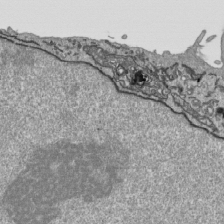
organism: Human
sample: Mitochondria in HCT116 cells